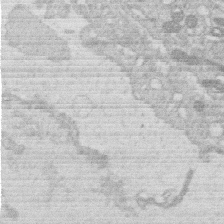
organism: Human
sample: Macrophage cells